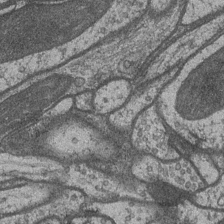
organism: Drosophila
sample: Optic medulla